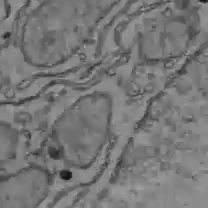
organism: C57BL Mouse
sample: Liver